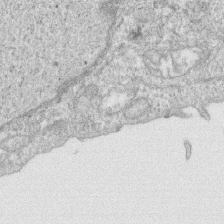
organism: Human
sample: HeLa cell HIV synapse